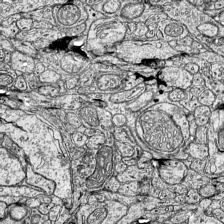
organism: Mouse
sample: Visual Cortex